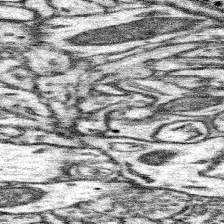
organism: Mouse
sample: Somatosensory cortex neuropil